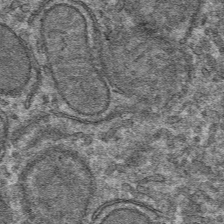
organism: Mouse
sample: Mouse hepatocytes